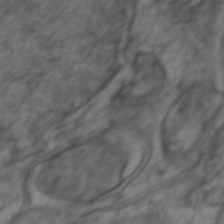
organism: Zebrafish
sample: Zebrafish embryo